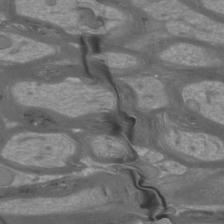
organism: Mouse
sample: Cortical neurons